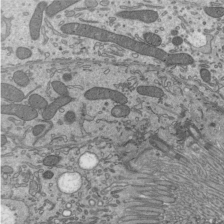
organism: Mouse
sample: Mouse epididymis efferent ductule cilia